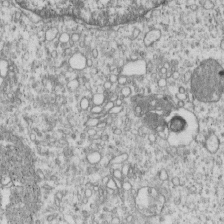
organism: Human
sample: MDA-MB-231 cells